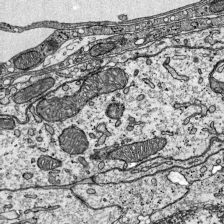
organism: Mouse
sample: Visual Cortex